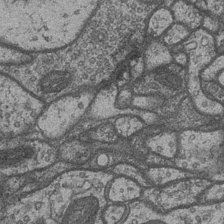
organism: Drosophila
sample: Optic medulla